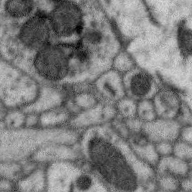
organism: Zebra finch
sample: Brain